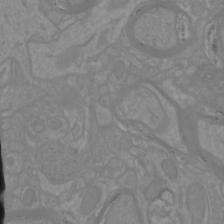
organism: Mouse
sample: Cortical neurons